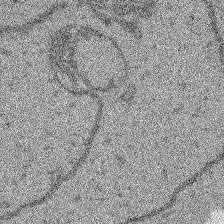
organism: Human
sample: HeLa cells